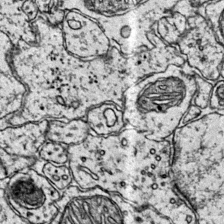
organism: Mouse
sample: Primary visual cortex